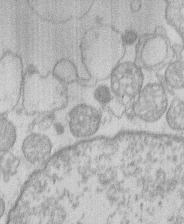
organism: Human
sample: Macrophage cells